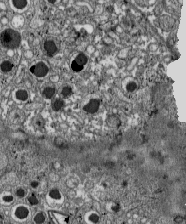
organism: C57BL Mouse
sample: Pancreatic islet